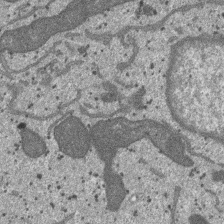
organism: Human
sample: Lung epithelial cells infected with SARS-CoV-2